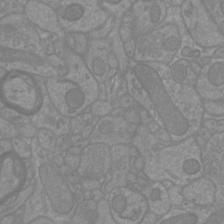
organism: Mouse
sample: Cortical neurons